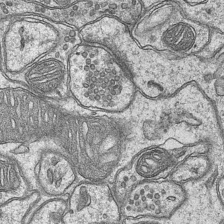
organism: Mouse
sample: CA1 Hippocampus